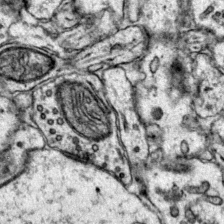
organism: Mouse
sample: Primary visual cortex